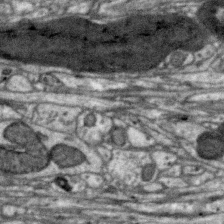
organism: Zebra finch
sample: Brain